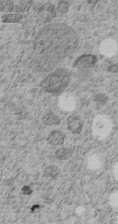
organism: C. elegans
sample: C. elegans embryo early stage